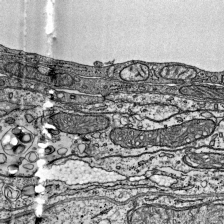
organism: Mouse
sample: Visual Cortex